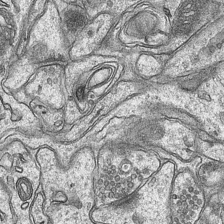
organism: Mouse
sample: CA1 Hippocampus